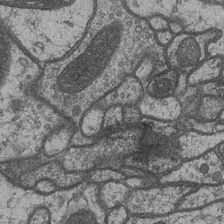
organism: Drosophila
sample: Optic medulla